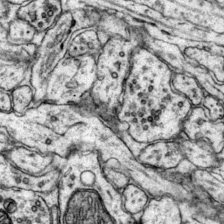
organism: Mouse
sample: Primary visual cortex